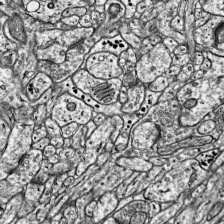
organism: Mouse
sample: Visual Cortex